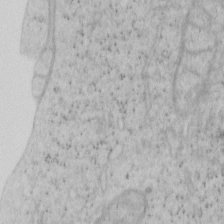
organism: Human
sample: HeLa cells